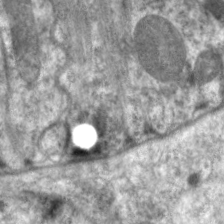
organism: C. elegans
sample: Pharynx